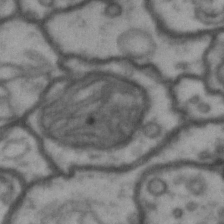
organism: Drosophila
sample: Brain